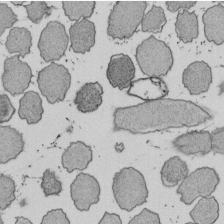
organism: E. coli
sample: Bacterial nucleoid